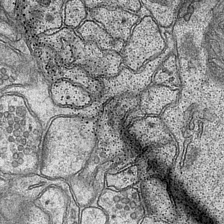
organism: Mouse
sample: CA1 Hippocampus